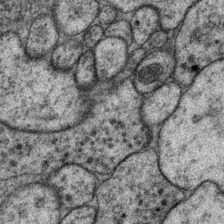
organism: P. pacificus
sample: Pharynx